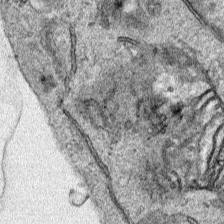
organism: Human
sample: Mitochondria in HCT116 cells